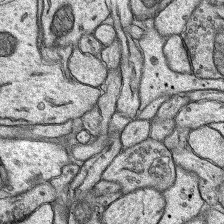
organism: Rat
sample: Hippocampus